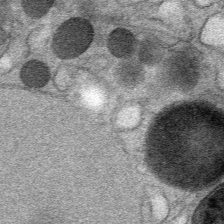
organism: Mouse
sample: Mouse Salivary gland